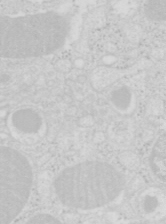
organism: Mouse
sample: Pancreas